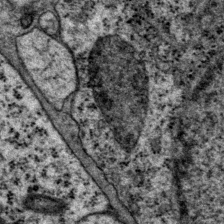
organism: P. pacificus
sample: Pharynx